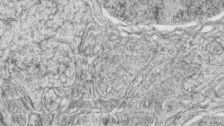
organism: Zebrafish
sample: synaptic ribbons in rod cells and cone cells